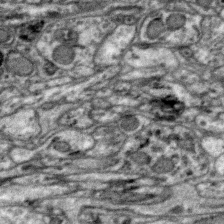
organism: Zebra finch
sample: Brain